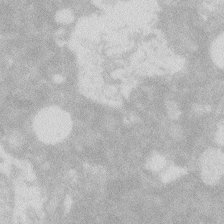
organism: Zebrafish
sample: Macrophage